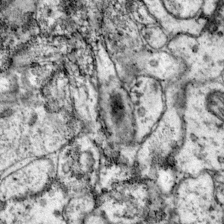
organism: Mouse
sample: Primary visual cortex